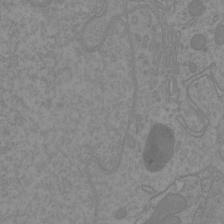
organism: Mouse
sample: Cortical neurons